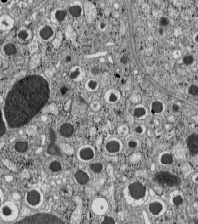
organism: C57BL Mouse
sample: Pancreatic islet